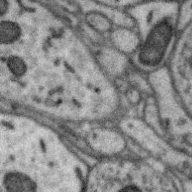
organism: Zebra finch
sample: Brain